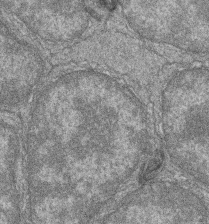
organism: Zebrafish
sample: Cilia; retinal pigment epithelium